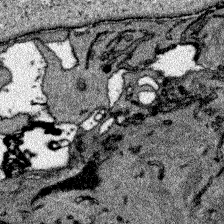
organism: Zebrafish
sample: Larval olfactory bulb